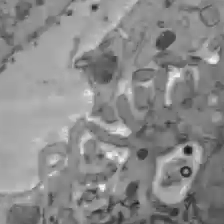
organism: C57BL Mouse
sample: Liver